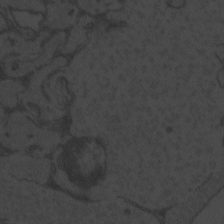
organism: Zebrafish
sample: Macrophage infected with Toxoplasma gondii